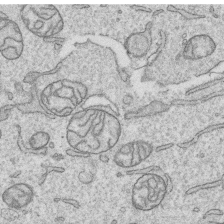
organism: Human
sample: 1205lu cells